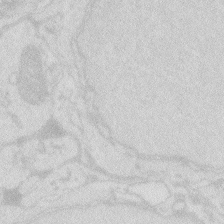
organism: Zebrafish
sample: Macrophage